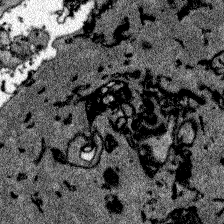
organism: Zebrafish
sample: Larval olfactory bulb